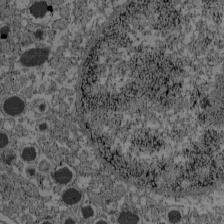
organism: C57BL Mouse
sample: Pancreatic islet